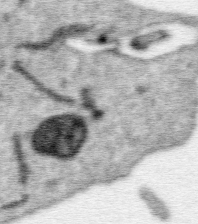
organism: Human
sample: HeLa cells